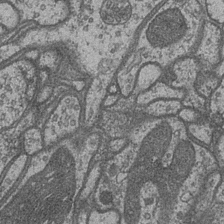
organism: Drosophila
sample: Optic medulla